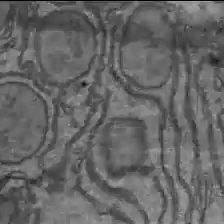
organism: C57BL Mouse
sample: Liver